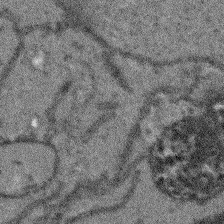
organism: Arabidopsis thaliana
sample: Root tip